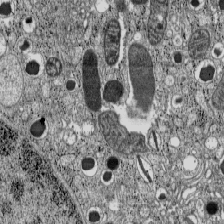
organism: C57BL Mouse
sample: Pancreatic islet